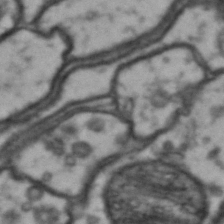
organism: Drosophila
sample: Brain